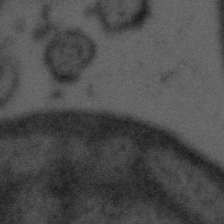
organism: Tuwongella immobilis